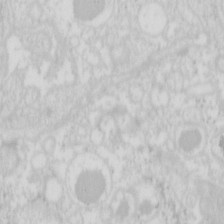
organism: Mouse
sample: Pancreas